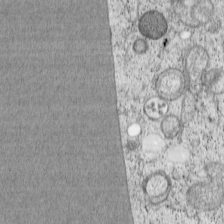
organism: African green monkey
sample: COS-7 cells